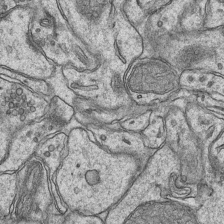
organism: Mouse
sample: CA1 Hippocampus